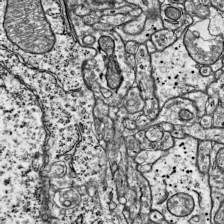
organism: Mouse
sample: Visual Cortex